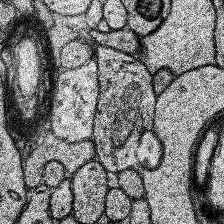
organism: Human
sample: Temporal Lobe